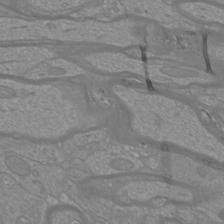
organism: Mouse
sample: Cortical neurons